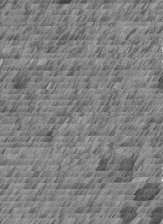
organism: C. elegans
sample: C. elegans embryo early stage